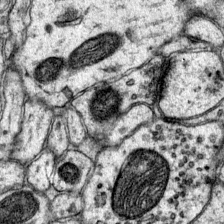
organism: Mouse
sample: Primary visual cortex